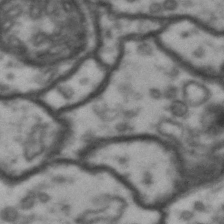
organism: Drosophila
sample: Brain